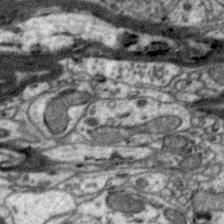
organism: Zebra finch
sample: Brain